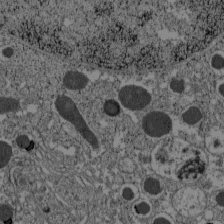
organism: C57BL Mouse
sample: Pancreatic islet